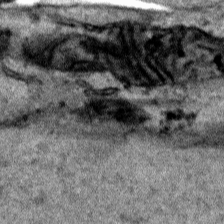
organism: Human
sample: Mitochondria in HCT116 cells